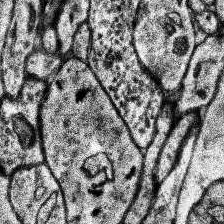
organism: Human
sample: Temporal Lobe